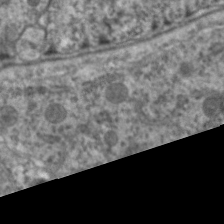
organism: C. elegans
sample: Pharynx